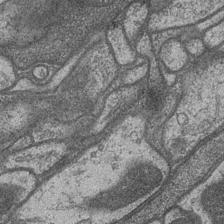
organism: Drosophila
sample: Optic medulla